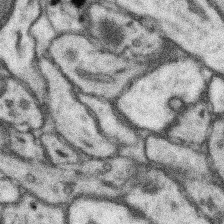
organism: Mouse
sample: Somatosensory cortex neuropil